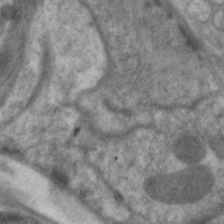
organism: C. elegans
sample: Pharynx